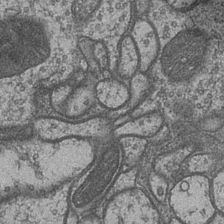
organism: Drosophila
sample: Optic medulla